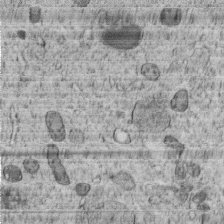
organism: C. elegans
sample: C. elegans embryo early stage